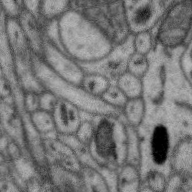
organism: Zebra finch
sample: Brain